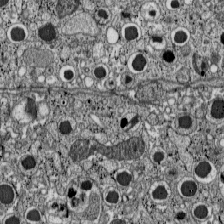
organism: C57BL Mouse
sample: Pancreatic islet